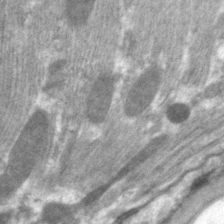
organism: C. elegans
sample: Pharynx